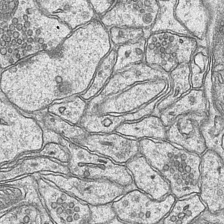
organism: Mouse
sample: CA1 Hippocampus